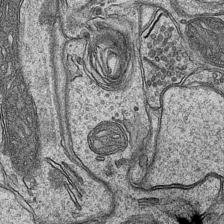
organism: Mouse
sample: CA1 Hippocampus